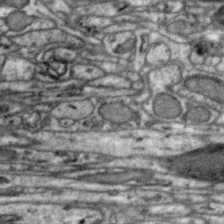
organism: Zebra finch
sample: Brain